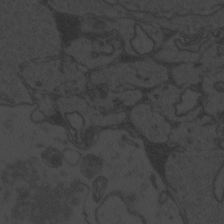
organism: Zebrafish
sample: Macrophage infected with Toxoplasma gondii